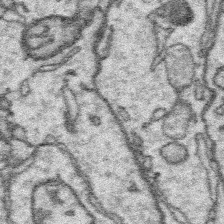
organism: Platynereis dumerilii